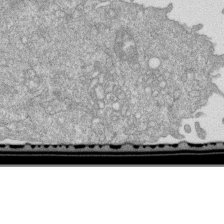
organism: Human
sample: HeLa cell HIV synapse